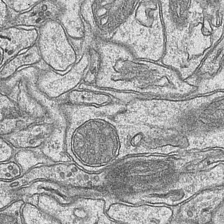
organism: Mouse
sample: CA1 Hippocampus